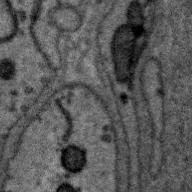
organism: Zebra finch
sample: Brain